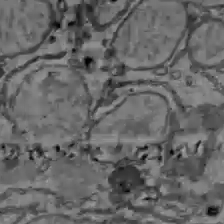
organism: C57BL Mouse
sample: Liver